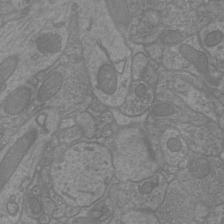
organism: Mouse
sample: Cortical neurons